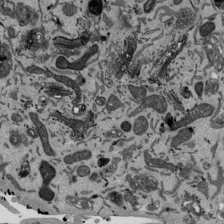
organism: Mouse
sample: ED-1 cell nuclei; centrioles